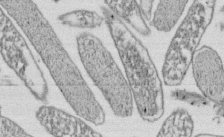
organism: E. coli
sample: Bacterial nucleoid